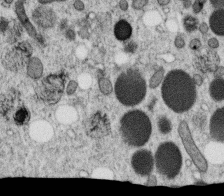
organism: C. elegans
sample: C. elegans oocyte; sperm cells